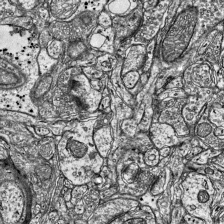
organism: Mouse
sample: Visual Cortex